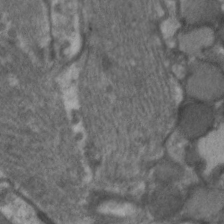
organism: C. elegans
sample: Pharynx